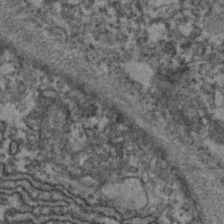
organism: Zebrafish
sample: Zebrafish embryo